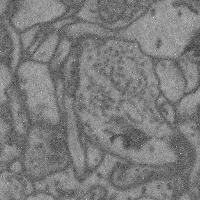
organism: Mouse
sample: Cerebral cortex